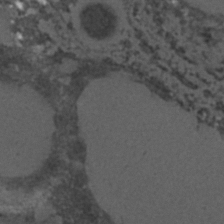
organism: C. elegans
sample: C. elegans embryo